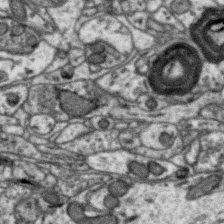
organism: Zebra finch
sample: Brain